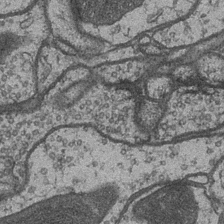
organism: Drosophila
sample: Optic medulla